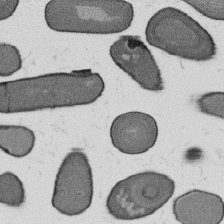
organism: B. subtilis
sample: Bacterial spore